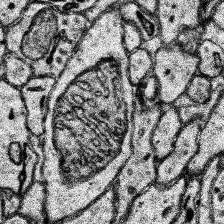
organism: Human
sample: Temporal Lobe